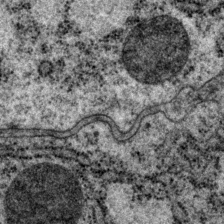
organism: P. pacificus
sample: Pharynx